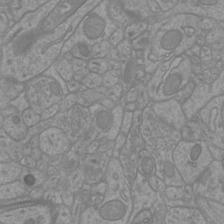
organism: Mouse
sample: Cortical neurons